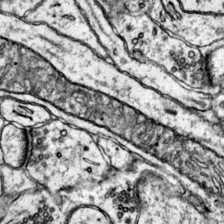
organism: Mouse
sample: Primary visual cortex